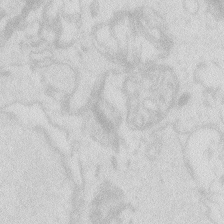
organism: Zebrafish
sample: Macrophage